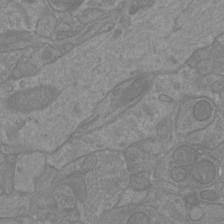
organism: Mouse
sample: Cortical neurons